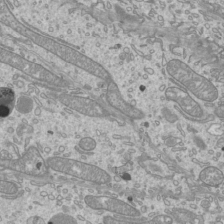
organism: Mouse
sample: Cilia; mouse epididymis